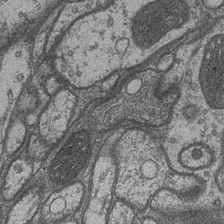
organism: Drosophila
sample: Optic medulla